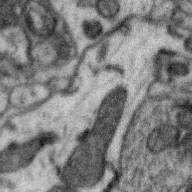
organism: Zebra finch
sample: Brain